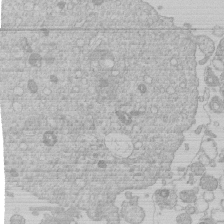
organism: Human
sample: Macrophage cells